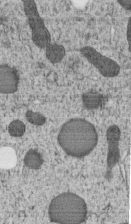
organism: C. elegans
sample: C. elegans embryo early stage